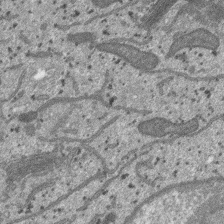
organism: Human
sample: Lung epithelial cells infected with SARS-CoV-2